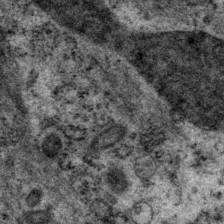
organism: P. pacificus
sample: Pharynx